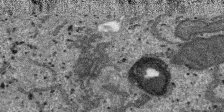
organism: Human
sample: Lung epithelial cells infected with SARS-CoV-2